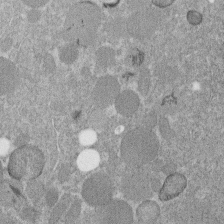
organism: C. elegans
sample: C. elegans embryo early stage